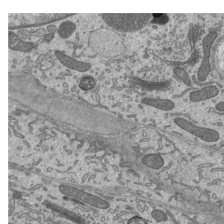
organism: Mouse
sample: Mouse epididymis efferent ductule cilia